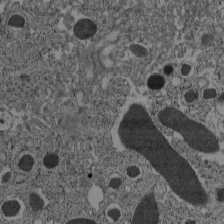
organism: C57BL Mouse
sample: Pancreatic islet